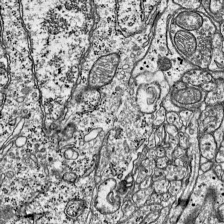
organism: Mouse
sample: Visual Cortex